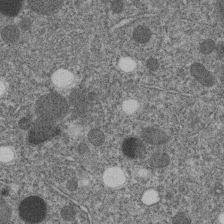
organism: C. elegans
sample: C. elegans embryo early stage